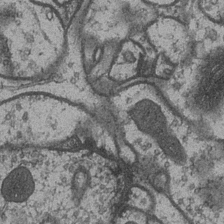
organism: Drosophila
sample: Optic medulla